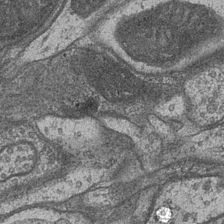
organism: Drosophila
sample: Optic medulla